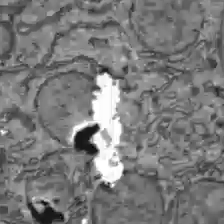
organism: C57BL Mouse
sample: Liver